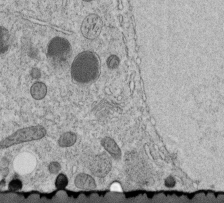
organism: C. elegans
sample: C. elegans embryo early stage